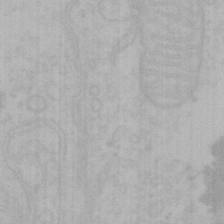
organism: Mouse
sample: Choroid plexus